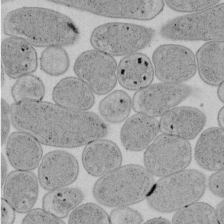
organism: E. coli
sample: Bacterial nucleoid